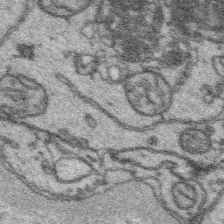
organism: Platynereis dumerilii